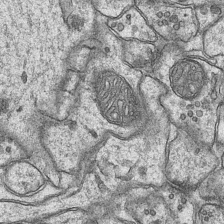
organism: Mouse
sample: CA1 Hippocampus